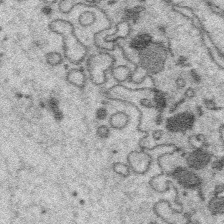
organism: Platynereis dumerilii